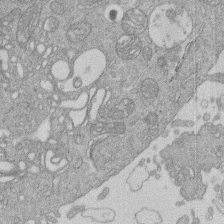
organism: Human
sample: Macrophage cells